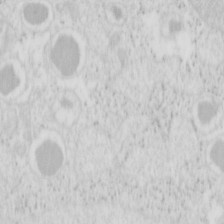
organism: Mouse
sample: Pancreas